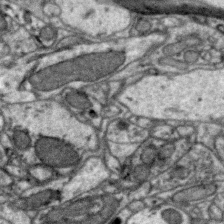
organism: Zebra finch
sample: Brain